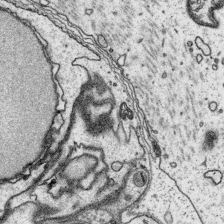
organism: Platynereis dumerilii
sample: Parapodia